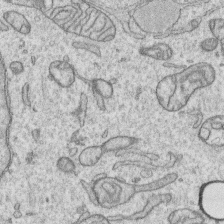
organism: Human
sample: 1205lu cells